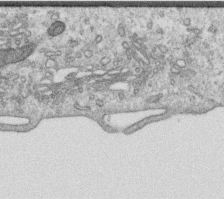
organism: Human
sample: Centriole in RPE cells